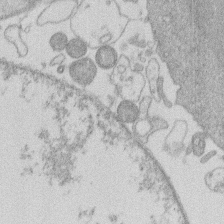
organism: Human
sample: Macrophage cells